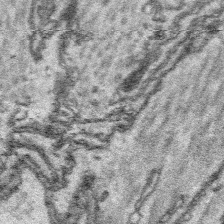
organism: Platynereis dumerilii